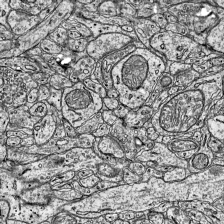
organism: Mouse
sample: Visual Cortex